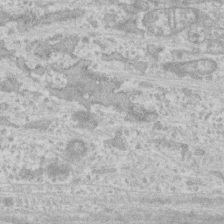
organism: Human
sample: CRL-1474